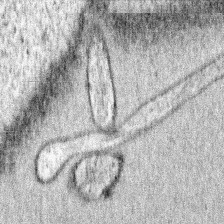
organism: Human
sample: HeLa cells